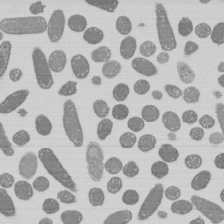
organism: E. coli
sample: Bacterial nucleoid